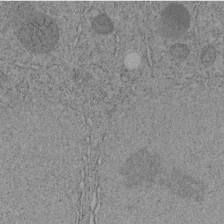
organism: C. elegans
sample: C. elegans embryo early stage